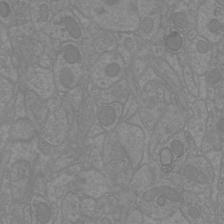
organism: Mouse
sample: Cortical neurons